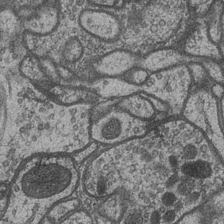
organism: Drosophila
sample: Optic medulla